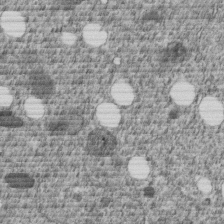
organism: C. elegans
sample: C. elegans embryo early stage